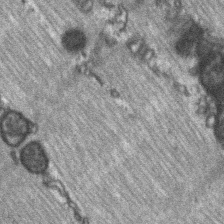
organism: C57BL Mouse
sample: Soleus